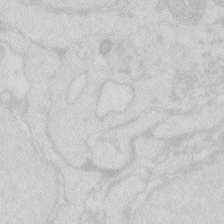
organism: Zebrafish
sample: Macrophage